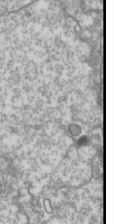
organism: Drosophila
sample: Cell division; meiosis; drosophila spermatocytes